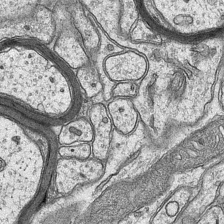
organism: Mouse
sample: CA1 Hippocampus